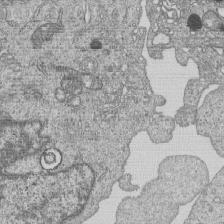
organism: Human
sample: MDA-MB-231 cells